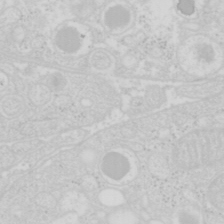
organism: Mouse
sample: Pancreas